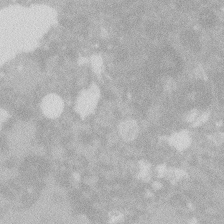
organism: Zebrafish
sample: Macrophage